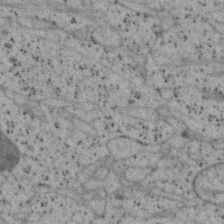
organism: Human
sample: HeLa cells